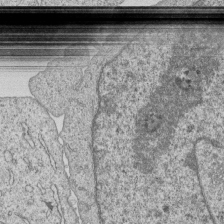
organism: Human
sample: MDA-MB-231 cells